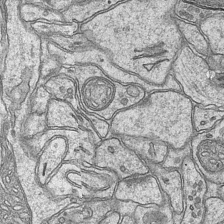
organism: Mouse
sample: CA1 Hippocampus